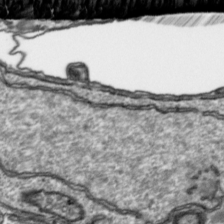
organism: Toxoplasma gondii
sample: Parasites in a vacuole inside a host cell